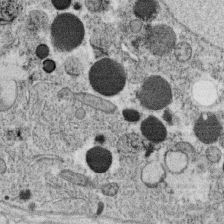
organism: C. elegans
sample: C. elegans oocyte; sperm cells